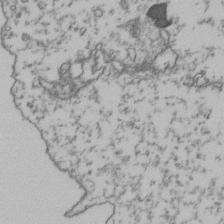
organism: Human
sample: Activated Jurkat CD4+ T cells